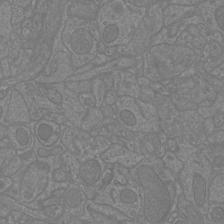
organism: Mouse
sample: Cortical neurons